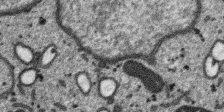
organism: Human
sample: Lung epithelial cells infected with SARS-CoV-2